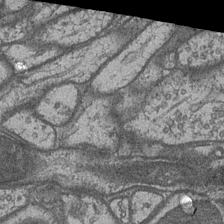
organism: Drosophila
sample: Optic medulla